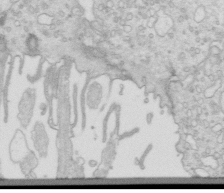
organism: Mouse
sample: Multiciliated cells